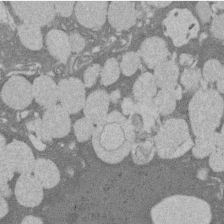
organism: Rat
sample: Salivary granule